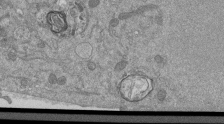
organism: Mouse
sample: ED-1 cell nuclei; centrioles